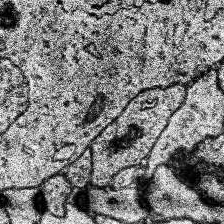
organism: Human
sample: Temporal Lobe